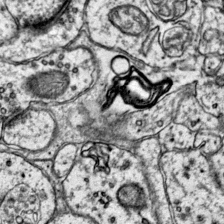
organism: Mouse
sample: Primary visual cortex